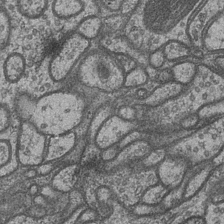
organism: Drosophila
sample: Optic medulla